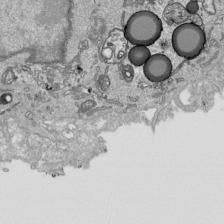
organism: Human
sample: Mitochondria in HCT116 cells